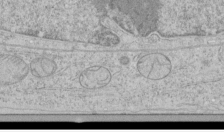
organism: Human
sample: Mitochondria in HCT116 cells